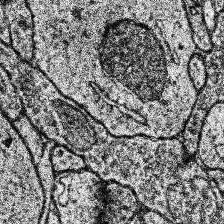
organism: Human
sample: Temporal Lobe